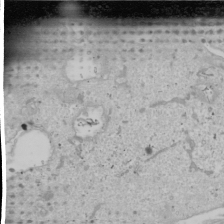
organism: Human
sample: Mitochondria in U2OS cells